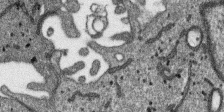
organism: Human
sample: Lung epithelial cells infected with SARS-CoV-2